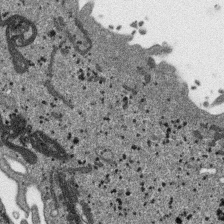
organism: Human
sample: Lung epithelial cells infected with SARS-CoV-2